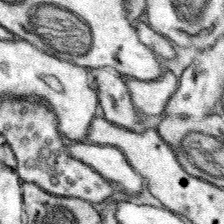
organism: Mouse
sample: Somatosensory cortex neuropil